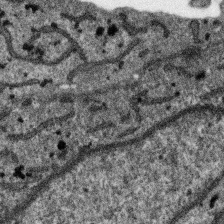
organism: Human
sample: Lung epithelial cells infected with SARS-CoV-2